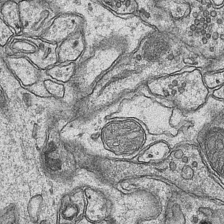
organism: Mouse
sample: CA1 Hippocampus